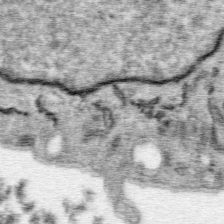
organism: Human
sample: HeLa cells